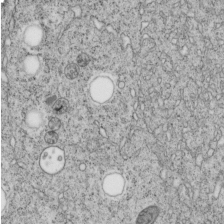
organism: C. elegans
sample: C. elegans embryo early stage